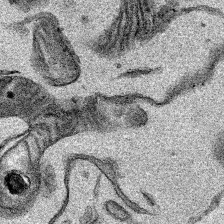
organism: Mouse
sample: Cancer cell death in ED-1 cells